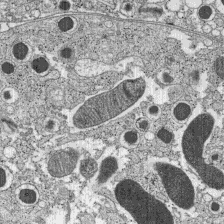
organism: C57BL Mouse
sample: Pancreatic islet